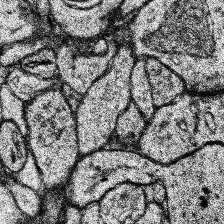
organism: Human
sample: Temporal Lobe